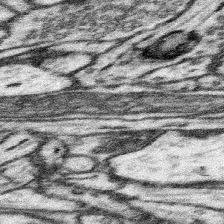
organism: Mouse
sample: Somatosensory cortex neuropil